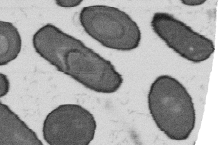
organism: B. subtilis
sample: Bacterial spore